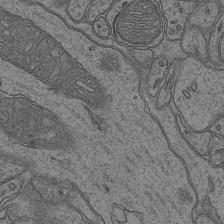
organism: Mouse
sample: CA1 Hippocampus